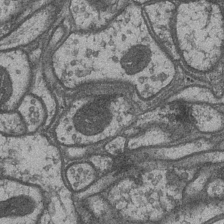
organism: Drosophila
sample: Optic medulla